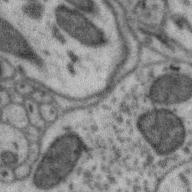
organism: Zebra finch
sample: Brain